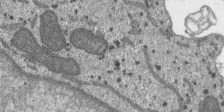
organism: Human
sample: Lung epithelial cells infected with SARS-CoV-2